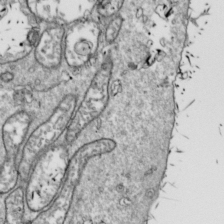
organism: Drosophila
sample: Cell division; meiosis; drosophila spermatocytes